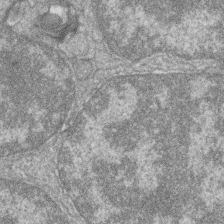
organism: Zebrafish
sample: Cilia; retinal pigment epithelium